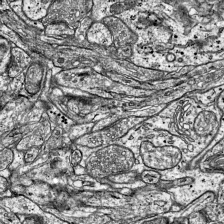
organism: Mouse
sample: Visual Cortex